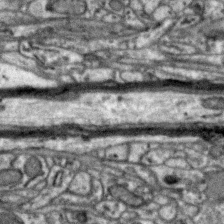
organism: Zebra finch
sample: Brain